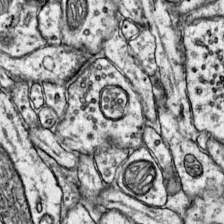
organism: Mouse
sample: Primary visual cortex